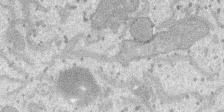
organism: Human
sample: Lung epithelial cells infected with SARS-CoV-2